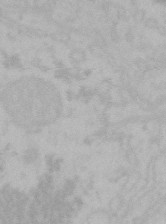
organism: Mouse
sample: Choroid plexus